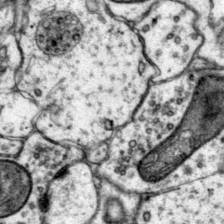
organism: Mouse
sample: Primary visual cortex